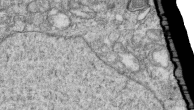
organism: Human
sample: HeLa cell HIV synapse